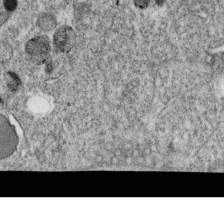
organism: C. elegans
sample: C. elegans oocyte; sperm cells